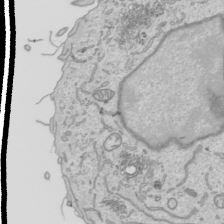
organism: Human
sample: Mitochondria in HCT116 cells